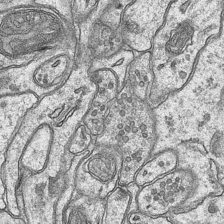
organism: Mouse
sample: CA1 Hippocampus